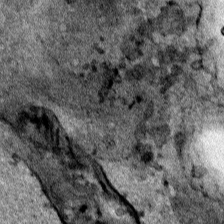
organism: Human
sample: Mitochondria in HCT116 cells